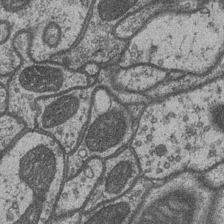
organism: Drosophila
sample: Optic medulla